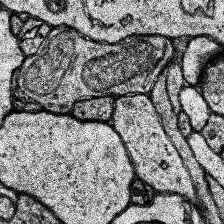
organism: Human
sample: Temporal Lobe